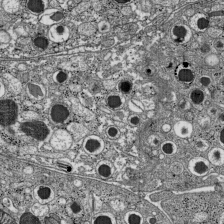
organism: C57BL Mouse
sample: Pancreatic islet